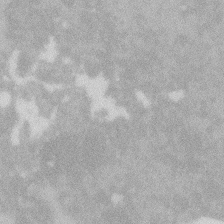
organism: Zebrafish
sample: Macrophage